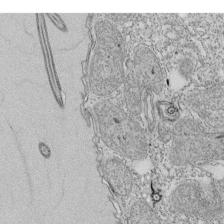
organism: Tetrahymena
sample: Cilia in tetrahymena